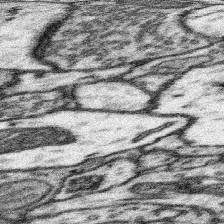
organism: Mouse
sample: Somatosensory cortex neuropil